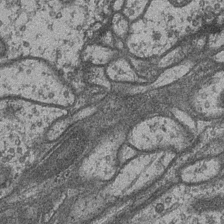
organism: Drosophila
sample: Optic medulla